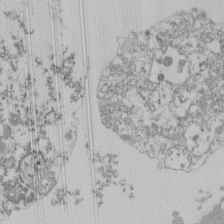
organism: Mouse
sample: Activated Pmel transgenic CD8+ T Cells